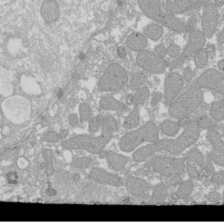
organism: Xenopus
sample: Cilia; centrioles in frog embryo cells